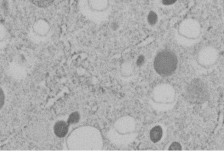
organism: C. elegans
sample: C. elegans embryo early stage